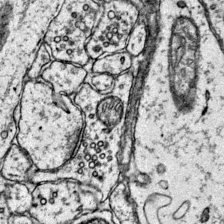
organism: Mouse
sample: Primary visual cortex